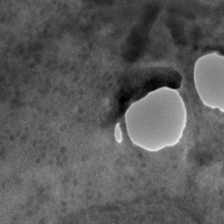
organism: C. elegans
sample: C. elegans embryo